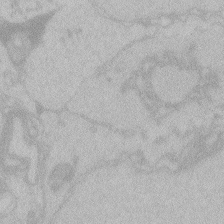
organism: Zebrafish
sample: Macrophage infected with Toxoplasma gondii